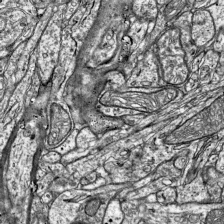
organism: Mouse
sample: Visual Cortex